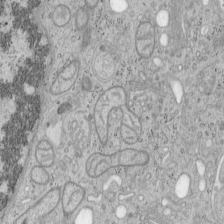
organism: Mouse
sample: OT-I killer T cells with ID8 ovarian cancer cells